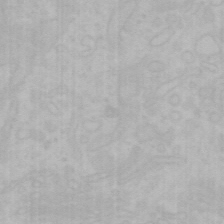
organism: Mouse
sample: Choroid plexus